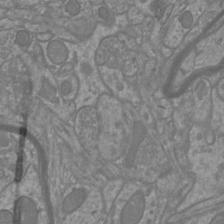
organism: Mouse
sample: Cortical neurons